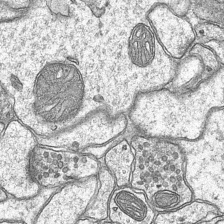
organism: Mouse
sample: CA1 Hippocampus